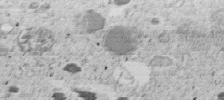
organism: C. elegans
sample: C. elegans embryo early stage